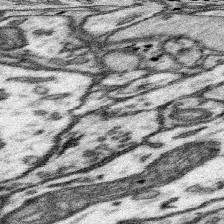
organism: Mouse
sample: Somatosensory cortex neuropil